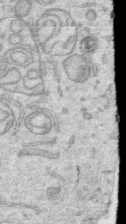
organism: Human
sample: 1205lu cells